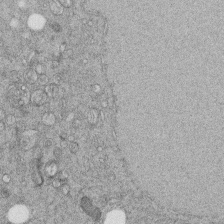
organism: C. elegans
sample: C. elegans embryo early stage